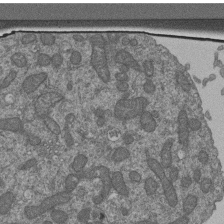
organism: Human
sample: Retinal organoid Rod and Cone cells